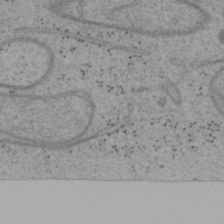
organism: Human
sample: HeLa cells